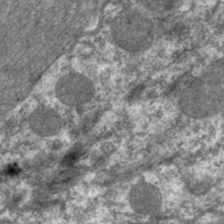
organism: C. elegans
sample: Pharynx